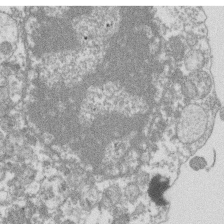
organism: Human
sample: HeLa cell HIV synapse